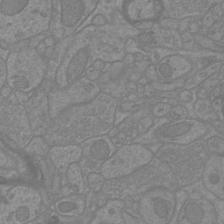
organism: Mouse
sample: Cortical neurons